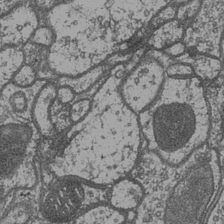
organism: Drosophila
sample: Optic medulla